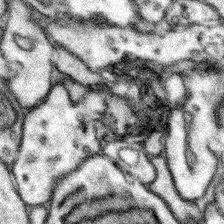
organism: Mouse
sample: Somatosensory cortex neuropil